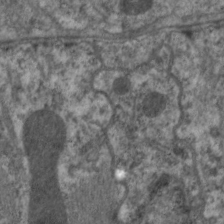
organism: C. elegans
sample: Pharynx